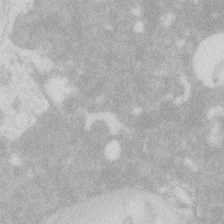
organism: Zebrafish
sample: Macrophage